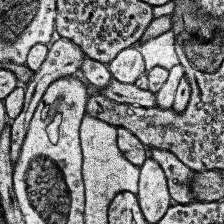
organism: Human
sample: Temporal Lobe